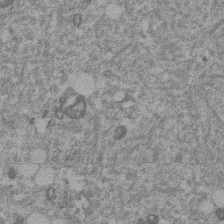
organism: Mouse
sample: Dividing mouse embryo 1 cell stage